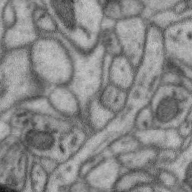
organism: Zebra finch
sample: Brain